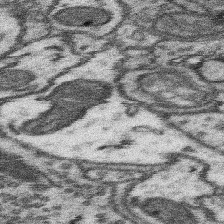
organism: Mouse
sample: Somatosensory cortex neuropil